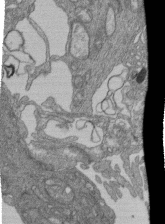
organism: Human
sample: Retinal organoid Rod and Cone cells